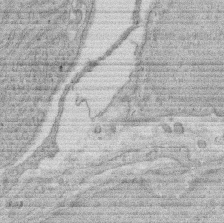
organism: Rat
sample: Salivary granule